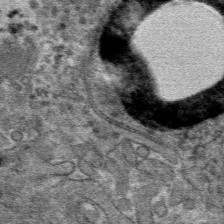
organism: Mouse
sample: Mouse hepatocytes